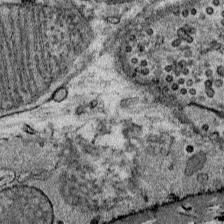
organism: Mouse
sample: Mouse Salivary gland